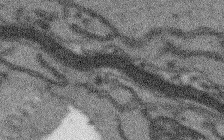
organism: Arabidopsis thaliana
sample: Root tip